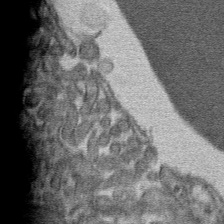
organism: Mouse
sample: Mouse hepatocytes